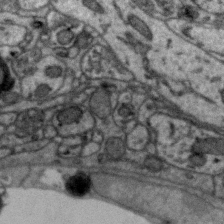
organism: Zebra finch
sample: Brain